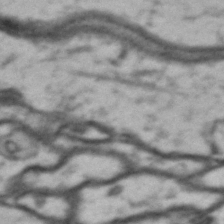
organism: Drosophila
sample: Brain